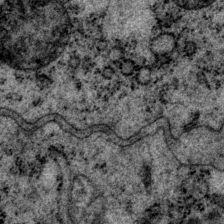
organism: P. pacificus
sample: Pharynx